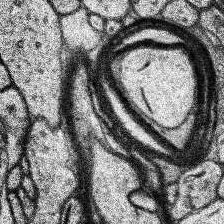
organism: Human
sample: Temporal Lobe